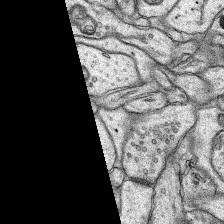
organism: Rat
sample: Hippocampus